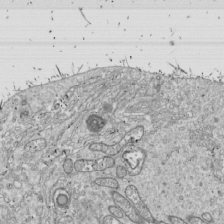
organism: Drosophila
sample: Cell division; meiosis; drosophila spermatocytes